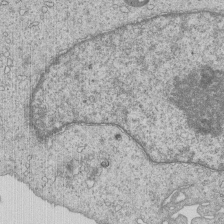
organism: Human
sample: MDA-MB-231 cells